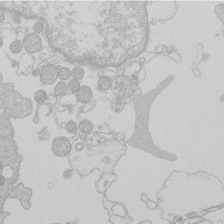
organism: Human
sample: Macrophage cells